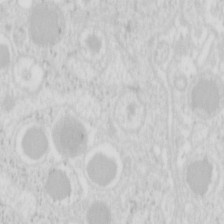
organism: Mouse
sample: Pancreas